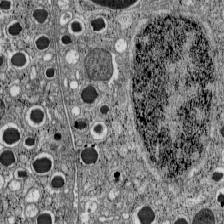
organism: C57BL Mouse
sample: Pancreatic islet